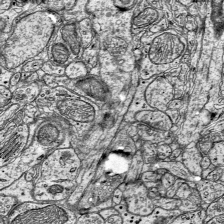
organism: Mouse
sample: Visual Cortex